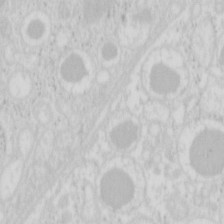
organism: Mouse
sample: Pancreas